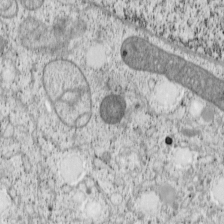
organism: African green monkey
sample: COS-7 cells